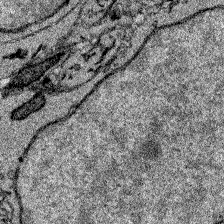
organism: Zebrafish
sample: Larval olfactory bulb